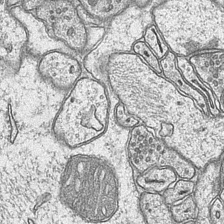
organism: Mouse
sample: CA1 Hippocampus